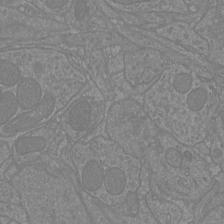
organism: Mouse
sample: Cortical neurons